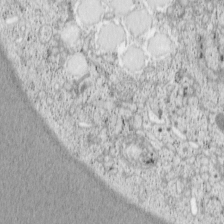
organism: African green monkey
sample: COS-7 cells